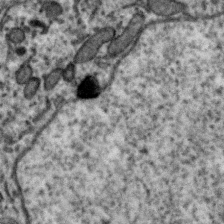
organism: Zebra finch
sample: Brain